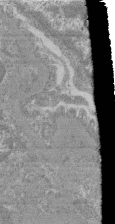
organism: Mouse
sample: Glomerulus